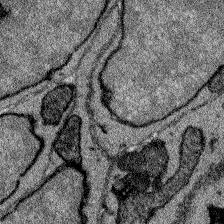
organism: Zebrafish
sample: Larval olfactory bulb